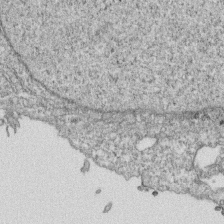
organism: Human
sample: HeLa cell HIV synapse